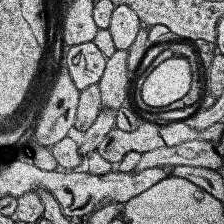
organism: Human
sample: Temporal Lobe